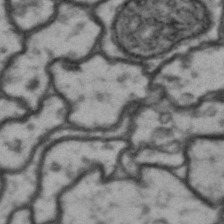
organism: Drosophila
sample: Brain